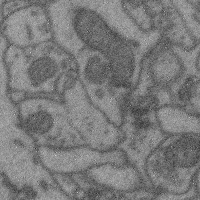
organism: Mouse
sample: Cerebral cortex